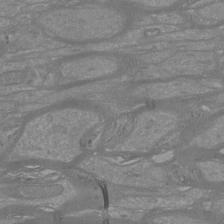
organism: Mouse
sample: Cortical neurons